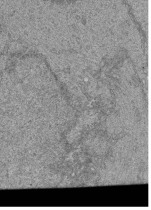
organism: Human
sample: Retinal organoid Rod and Cone cells